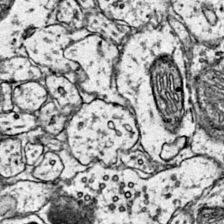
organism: Mouse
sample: Primary visual cortex